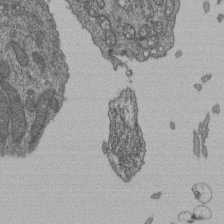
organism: Human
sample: Retinal organoid Rod and Cone cells